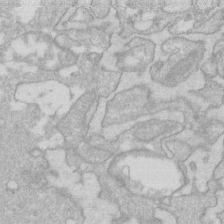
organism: Human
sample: Fibroblast cells